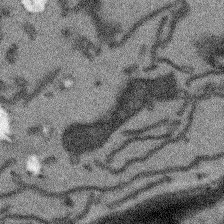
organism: Arabidopsis thaliana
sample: Root tip